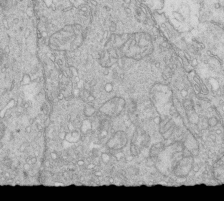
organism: Mouse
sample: Multiciliated cells